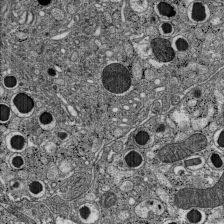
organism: C57BL Mouse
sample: Pancreatic islet